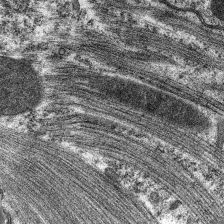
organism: C. elegans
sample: Pharynx